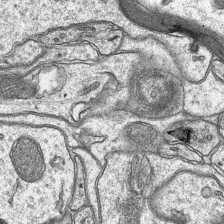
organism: Mouse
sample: CA1 Hippocampus